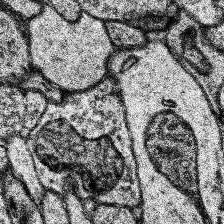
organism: Human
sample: Temporal Lobe